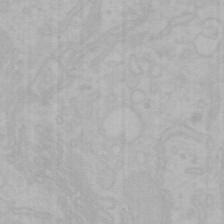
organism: Mouse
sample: Choroid plexus